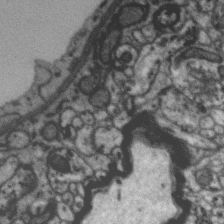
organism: Zebra finch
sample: Brain